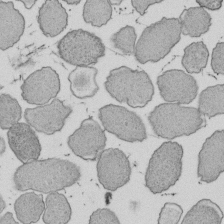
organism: E. coli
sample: Bacterial nucleoid